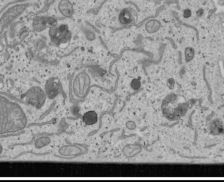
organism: Human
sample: Mitochondria in U2OS cells